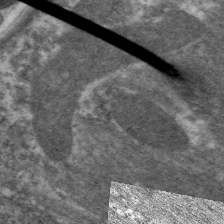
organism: C. elegans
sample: Pharynx